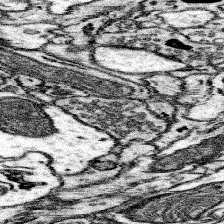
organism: Mouse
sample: Somatosensory cortex neuropil